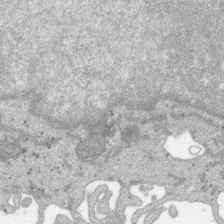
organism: Human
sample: Lung epithelial cells infected with SARS-CoV-2